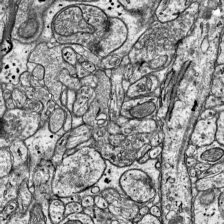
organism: Mouse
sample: Visual Cortex